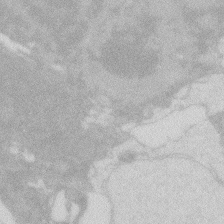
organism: Zebrafish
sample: Macrophage